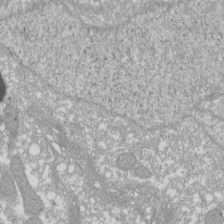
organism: Xenopus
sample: Cilia; centrioles in frog embryo cells